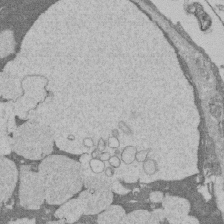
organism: Rat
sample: Salivary granule